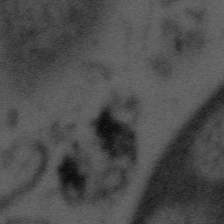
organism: Tuwongella immobilis